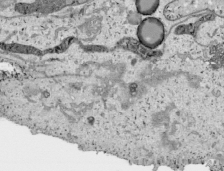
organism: Human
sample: Mitochondria in HCT116 cells